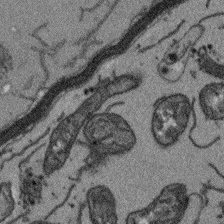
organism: Arabidopsis thaliana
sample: Root tip